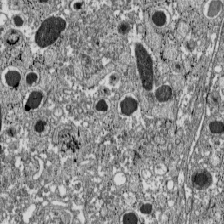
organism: C57BL Mouse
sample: Pancreatic islet